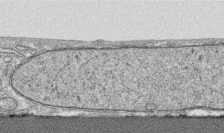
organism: Human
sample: CRL-1474